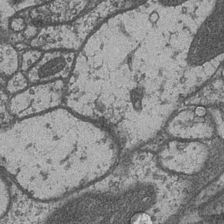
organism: Drosophila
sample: Optic medulla